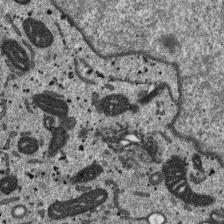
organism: Human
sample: Lung epithelial cells infected with SARS-CoV-2